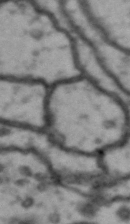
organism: Drosophila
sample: Brain